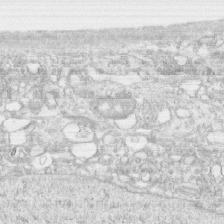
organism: Human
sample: CRL-1474